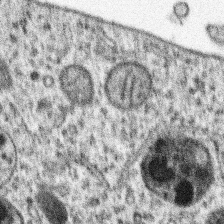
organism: Human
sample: HeLa cells